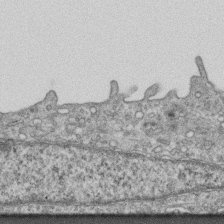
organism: Mouse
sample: Centriole in ependymal cells